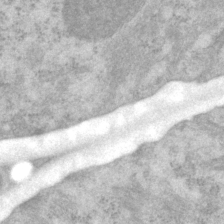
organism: P. pacificus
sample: Pharynx